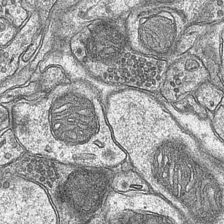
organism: Mouse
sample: CA1 Hippocampus